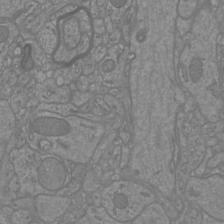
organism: Mouse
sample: Cortical neurons